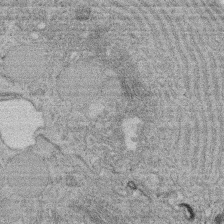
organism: Rat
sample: Salivary granule